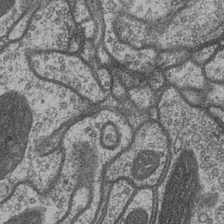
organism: Drosophila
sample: Optic medulla